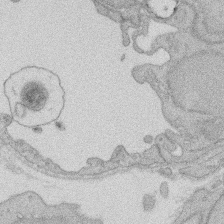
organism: Rat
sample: Salivary granule